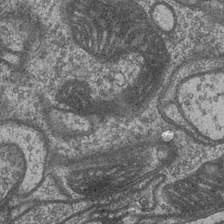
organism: Drosophila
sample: Optic medulla